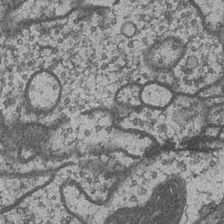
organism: Drosophila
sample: Optic medulla